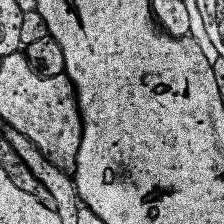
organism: Human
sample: Temporal Lobe